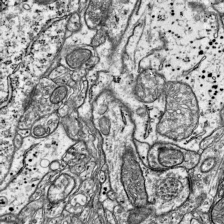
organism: Mouse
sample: Visual Cortex